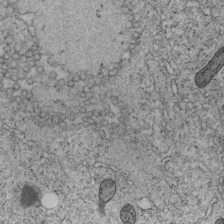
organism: C. elegans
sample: C. elegans embryo early stage